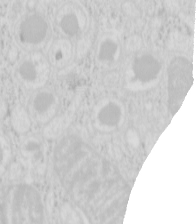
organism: Mouse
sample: Pancreas